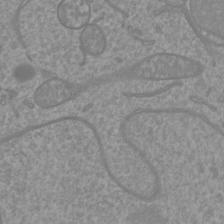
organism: Mouse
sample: Cortical neurons